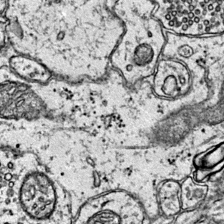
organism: Mouse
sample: Primary visual cortex